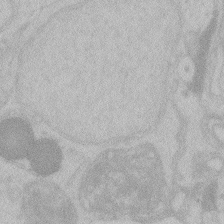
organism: Zebrafish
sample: Macrophage infected with Toxoplasma gondii